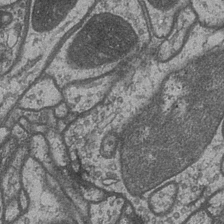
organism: Drosophila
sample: Optic medulla